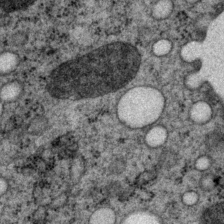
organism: P. pacificus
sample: Pharynx